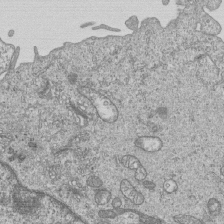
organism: Human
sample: MDA-MB-231 cells